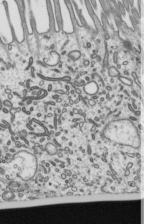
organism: Mouse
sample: Mouse epididymis efferent ductule cilia